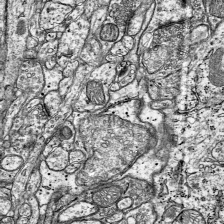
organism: Mouse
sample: Visual Cortex